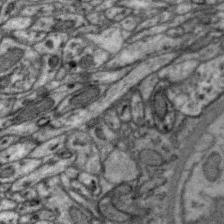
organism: Zebra finch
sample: Brain